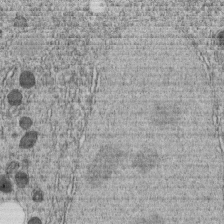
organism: C. elegans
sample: C. elegans embryo early stage